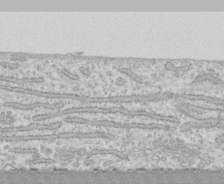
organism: Human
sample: CRL-1474